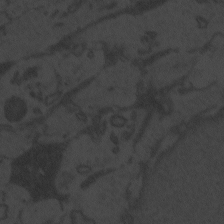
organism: Zebrafish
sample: Macrophage infected with Toxoplasma gondii